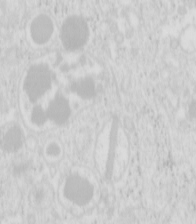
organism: Mouse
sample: Pancreas